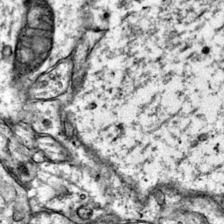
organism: Mouse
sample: Primary visual cortex